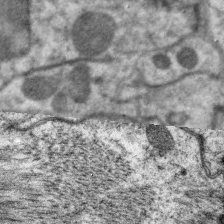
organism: C. elegans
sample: Pharynx